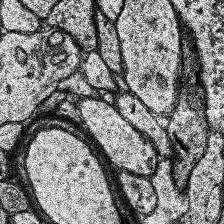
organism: Human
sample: Temporal Lobe